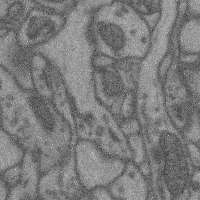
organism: Mouse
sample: Cerebral cortex